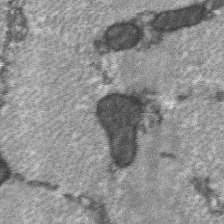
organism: C57BL Mouse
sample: Soleus